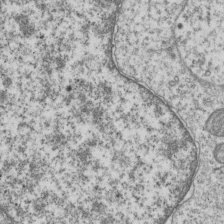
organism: Human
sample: MDA-MB-231 cells